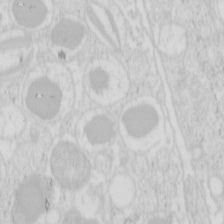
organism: Mouse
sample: Pancreas